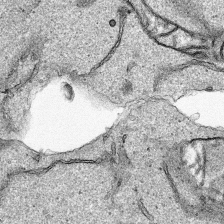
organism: Human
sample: Mitochondria in HCT116 cells